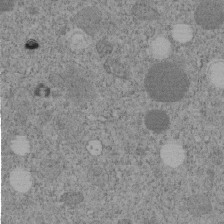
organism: C. elegans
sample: C. elegans embryo early stage